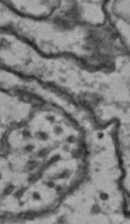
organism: Drosophila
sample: Brain